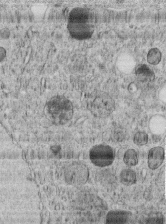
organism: C. elegans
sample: C. elegans embryo early stage